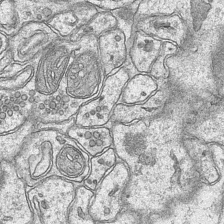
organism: Mouse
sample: CA1 Hippocampus